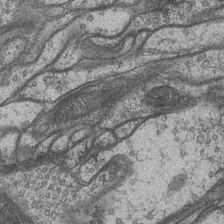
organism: Drosophila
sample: Optic medulla